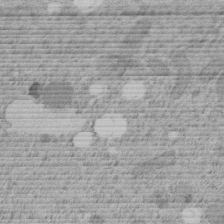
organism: C. elegans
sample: C. elegans embryo early stage